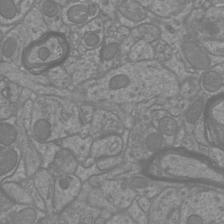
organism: Mouse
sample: Cortical neurons